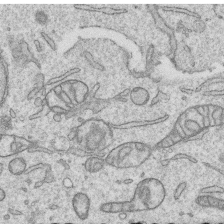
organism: Human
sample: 1205lu cells